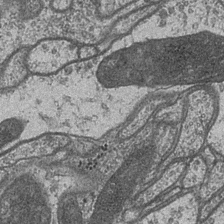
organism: Drosophila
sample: Optic medulla